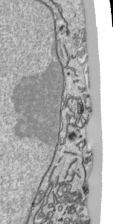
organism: Human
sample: Mitochondria in HCT116 cells